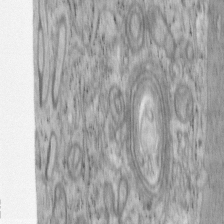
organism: Human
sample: HeLa cells